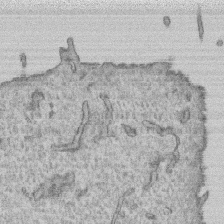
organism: Human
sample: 1205lu cells